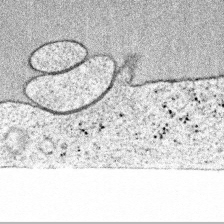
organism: Human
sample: HeLa cells